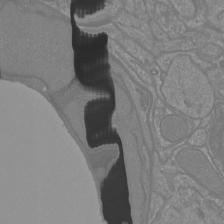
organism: Mouse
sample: Cortical neurons